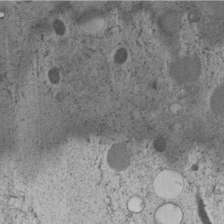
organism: C. elegans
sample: C. elegans embryo early stage